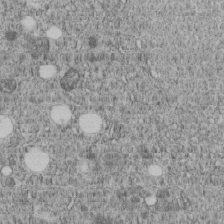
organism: C. elegans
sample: C. elegans embryo early stage